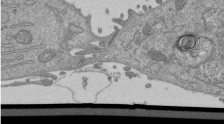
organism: Mouse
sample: ED-1 cell nuclei; centrioles